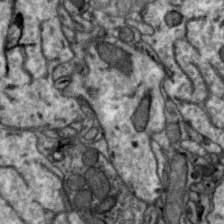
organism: Zebra finch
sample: Brain